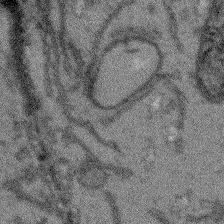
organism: Arabidopsis thaliana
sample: Root tip